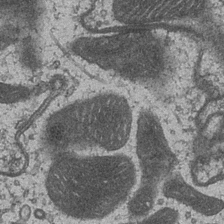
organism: Drosophila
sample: Optic medulla